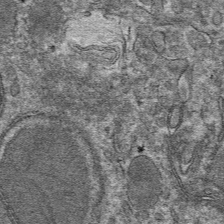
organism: Mouse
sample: Mouse hepatocytes